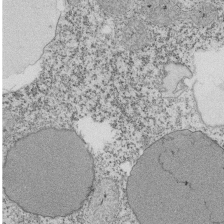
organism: Tetrahymena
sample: Cilia in tetrahymena